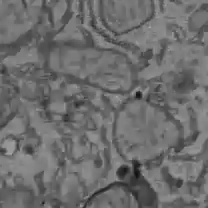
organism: C57BL Mouse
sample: Liver